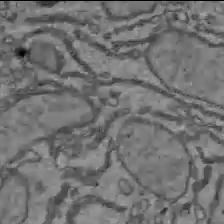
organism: C57BL Mouse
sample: Liver